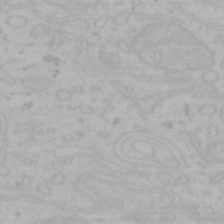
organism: Mouse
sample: Choroid plexus